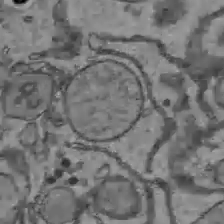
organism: C57BL Mouse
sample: Liver